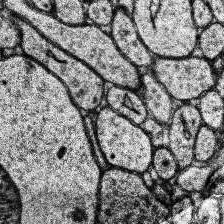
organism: Human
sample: Temporal Lobe